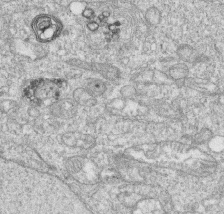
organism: Human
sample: HeLa cell HIV synapse